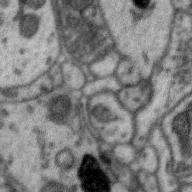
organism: Zebra finch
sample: Brain